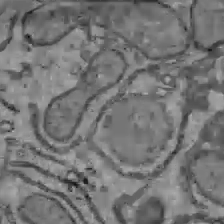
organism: C57BL Mouse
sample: Liver